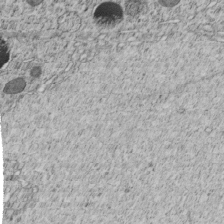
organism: C. elegans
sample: C. elegans embryo early stage